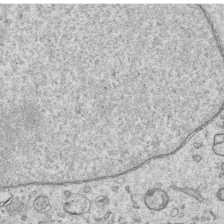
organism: Human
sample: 1205lu cells